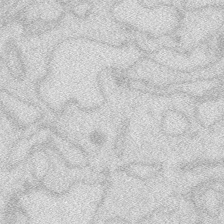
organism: Zebrafish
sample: Macrophage